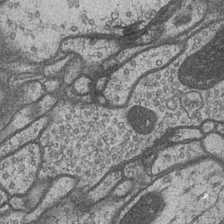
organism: Drosophila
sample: Optic medulla